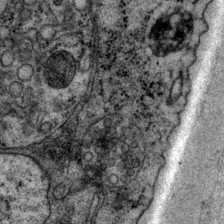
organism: P. pacificus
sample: Pharynx